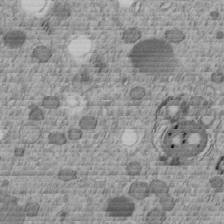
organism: C. elegans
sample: C. elegans embryo early stage